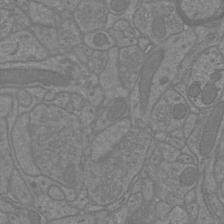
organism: Mouse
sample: Cortical neurons